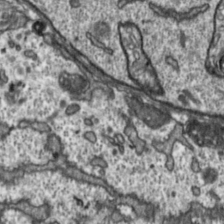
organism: Toxoplasma gondii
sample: Parasites in a vacuole inside a host cell